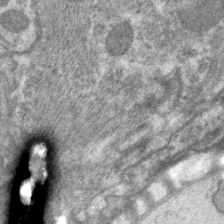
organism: C. elegans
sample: Pharynx